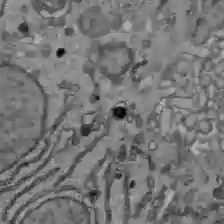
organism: C57BL Mouse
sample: Liver